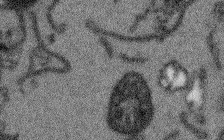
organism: Arabidopsis thaliana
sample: Root tip